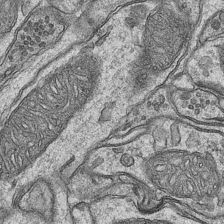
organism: Mouse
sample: CA1 Hippocampus